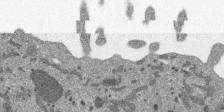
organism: Human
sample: Lung epithelial cells infected with SARS-CoV-2